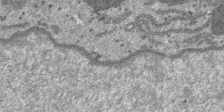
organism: Human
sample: Lung epithelial cells infected with SARS-CoV-2